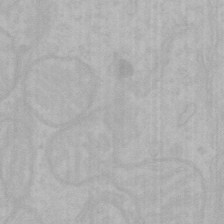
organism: Mouse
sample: Choroid plexus